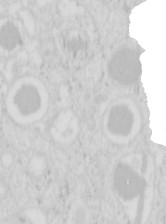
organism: Mouse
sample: Pancreas